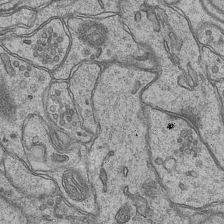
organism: Mouse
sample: CA1 Hippocampus